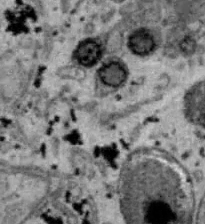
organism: Mouse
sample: Liver from an obese (ob/ob) mouse